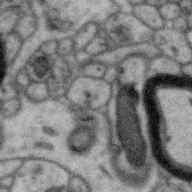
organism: Zebra finch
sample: Brain